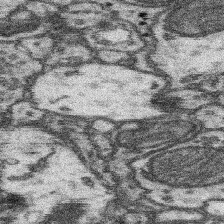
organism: Mouse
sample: Somatosensory cortex neuropil